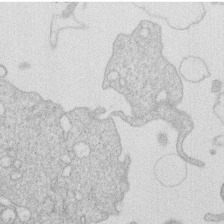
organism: Human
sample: Macrophage cells